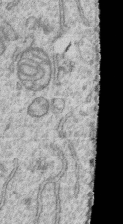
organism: Human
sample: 1205lu cells